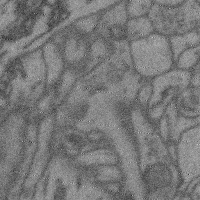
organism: Mouse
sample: Cerebral cortex